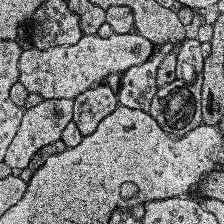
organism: Human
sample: Temporal Lobe